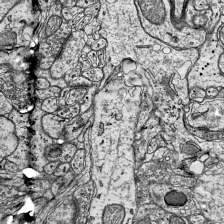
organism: Mouse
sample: Visual Cortex